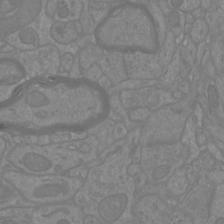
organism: Mouse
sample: Cortical neurons